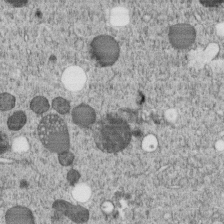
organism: C. elegans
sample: C. elegans embryo early stage